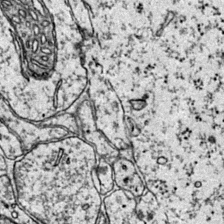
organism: Mouse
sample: Primary visual cortex